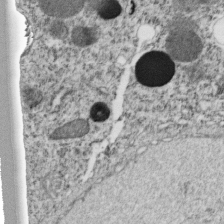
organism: C. elegans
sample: C. elegans embryo early stage